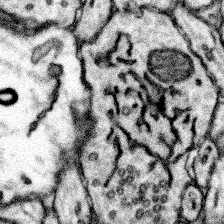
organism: Mouse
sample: Somatosensory cortex neuropil